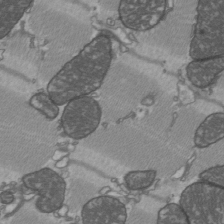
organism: C57BL Mouse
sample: Heart